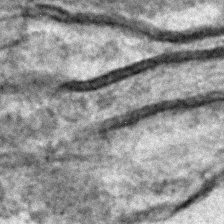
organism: C. elegans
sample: C. elegans embryo